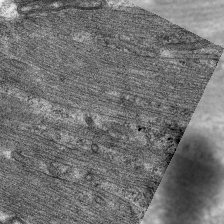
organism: C. elegans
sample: Pharynx